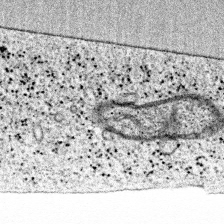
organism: Human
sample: HeLa cells